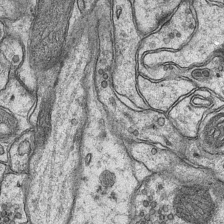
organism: Mouse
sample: CA1 Hippocampus